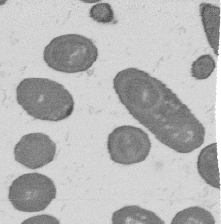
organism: B. subtilis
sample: Bacterial spore